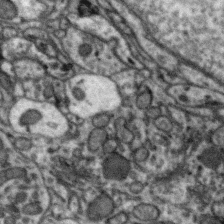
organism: Zebra finch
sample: Brain